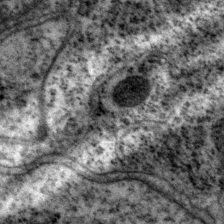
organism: P. pacificus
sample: Pharynx